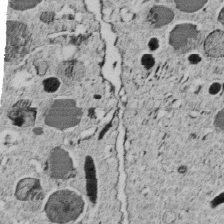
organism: C. elegans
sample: C. elegans embryo early stage